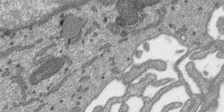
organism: Human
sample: Lung epithelial cells infected with SARS-CoV-2